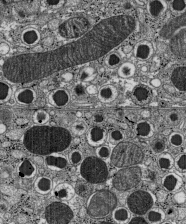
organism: C57BL Mouse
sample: Pancreatic islet